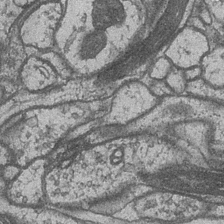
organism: Drosophila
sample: Optic medulla